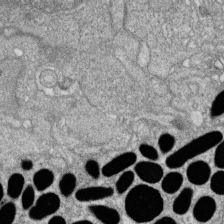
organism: Zebrafish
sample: Cilia; retinal pigment epithelium